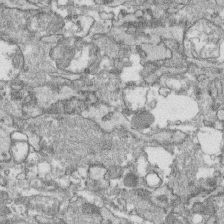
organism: Human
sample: CRL-1474